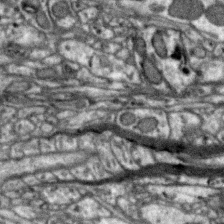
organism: Zebra finch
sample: Brain